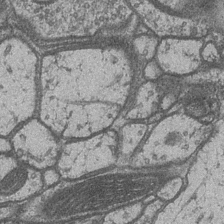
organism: Drosophila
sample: Optic medulla